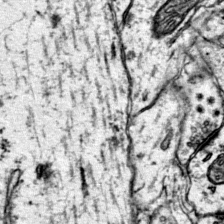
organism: Mouse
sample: Primary visual cortex